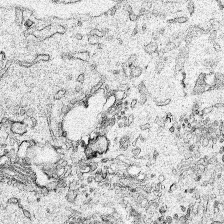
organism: Human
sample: Mitochondria in HCT116 cells